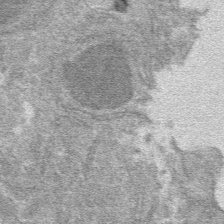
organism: Mouse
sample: Mouse hepatocytes